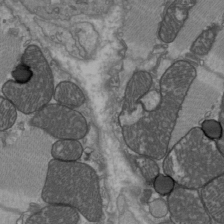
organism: C57BL Mouse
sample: Heart